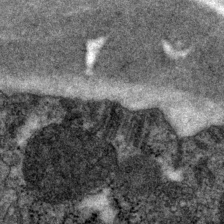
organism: P. pacificus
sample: Pharynx